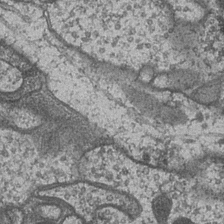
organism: Drosophila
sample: Optic medulla